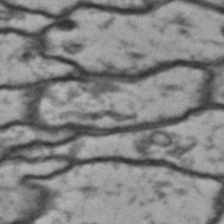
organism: Drosophila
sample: Brain